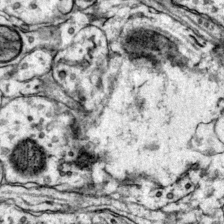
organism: Mouse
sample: Primary visual cortex